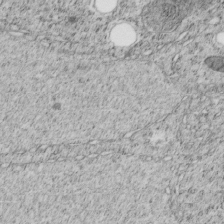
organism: C. elegans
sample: C. elegans embryo early stage